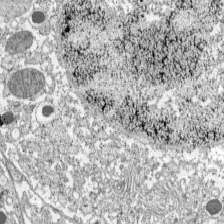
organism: C57BL Mouse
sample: Pancreatic islet